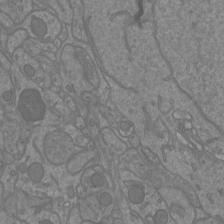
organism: Mouse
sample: Cortical neurons